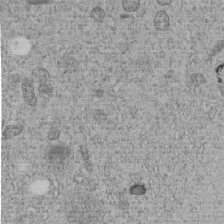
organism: C. elegans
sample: C. elegans embryo early stage